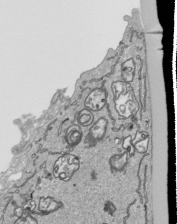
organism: Human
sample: Mitochondria in HCT116 cells